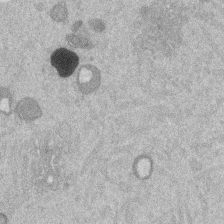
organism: Mouse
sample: Dividing mouse embryo 1 cell stage